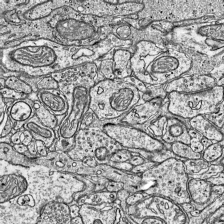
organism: Mouse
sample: Visual Cortex